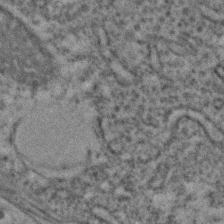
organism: C. elegans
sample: C. elegans embryo